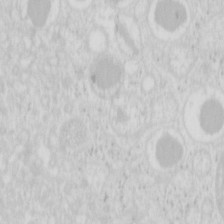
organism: Mouse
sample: Pancreas